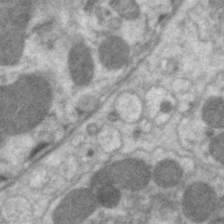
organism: C. elegans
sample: Pharynx